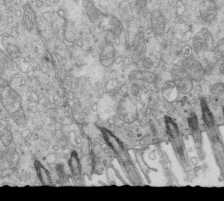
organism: Mouse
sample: Multiciliated cells